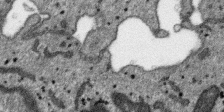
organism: Human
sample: Lung epithelial cells, uninfected (mock) control